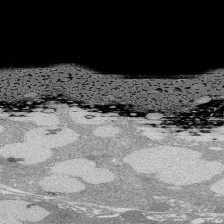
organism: Rat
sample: Salivary granule